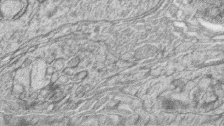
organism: Zebrafish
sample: synaptic ribbons in rod cells and cone cells